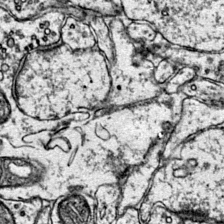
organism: Mouse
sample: Primary visual cortex